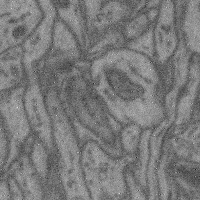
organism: Mouse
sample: Cerebral cortex